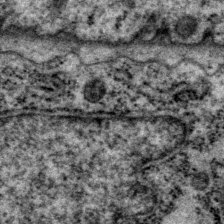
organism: P. pacificus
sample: Pharynx